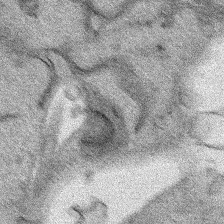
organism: Human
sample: Mitochondria in HCT116 cells